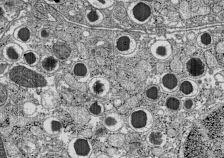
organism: C57BL Mouse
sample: Pancreatic islet